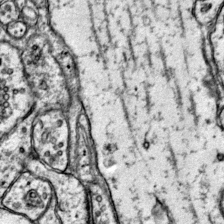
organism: Mouse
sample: Primary visual cortex